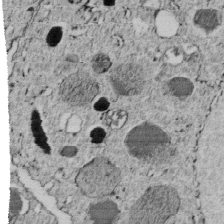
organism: C. elegans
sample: C. elegans embryo early stage